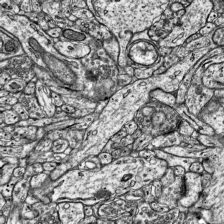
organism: Mouse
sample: Visual Cortex